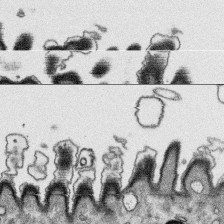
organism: Platynereis dumerilii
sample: Parapodia